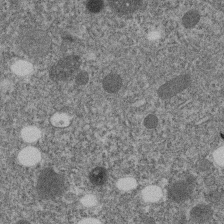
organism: C. elegans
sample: C. elegans embryo early stage